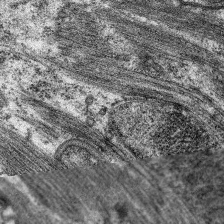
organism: C. elegans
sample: Pharynx